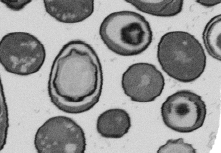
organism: B. subtilis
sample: Bacterial spore